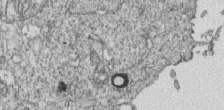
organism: Human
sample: HeLa cell HIV synapse